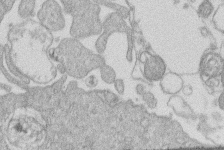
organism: Human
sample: Macrophage cells